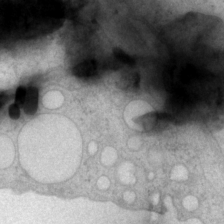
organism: P. pacificus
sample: Pharynx